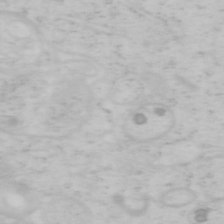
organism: Mouse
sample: OT-I killer T cells with ID8 ovarian cancer cells